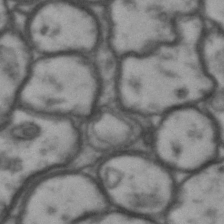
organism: Drosophila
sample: Brain